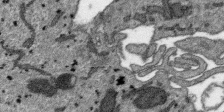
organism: Human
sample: Lung epithelial cells, uninfected (mock) control